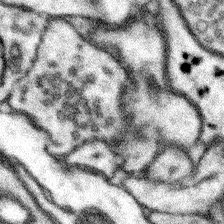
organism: Mouse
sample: Somatosensory cortex neuropil